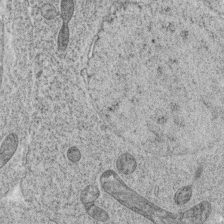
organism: C. elegans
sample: C. elegans oocyte; sperm cells